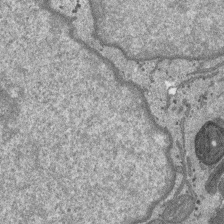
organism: Human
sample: Lung epithelial cells infected with SARS-CoV-2